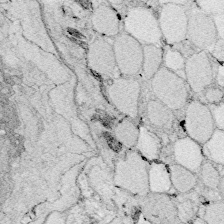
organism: Zebrafish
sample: Whole-Brain